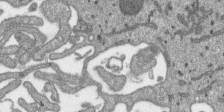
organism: Human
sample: Lung epithelial cells infected with SARS-CoV-2